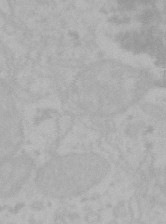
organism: Mouse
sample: Choroid plexus